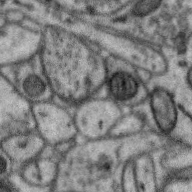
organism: Zebra finch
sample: Brain